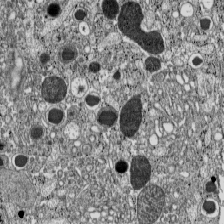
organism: C57BL Mouse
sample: Pancreatic islet